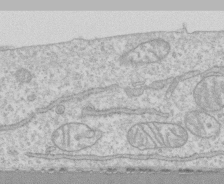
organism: Human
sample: CRL-1474